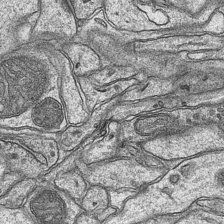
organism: Mouse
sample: CA1 Hippocampus